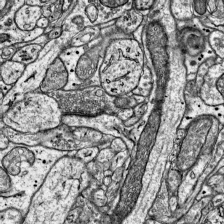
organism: Mouse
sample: Visual Cortex